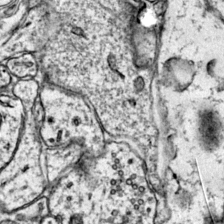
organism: Mouse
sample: Primary visual cortex